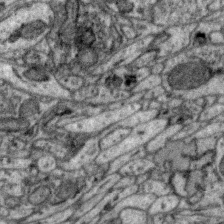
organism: Zebra finch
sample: Brain